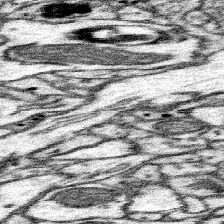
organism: Mouse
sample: Somatosensory cortex neuropil